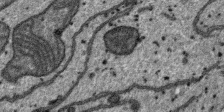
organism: Human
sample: Lung epithelial cells, uninfected (mock) control